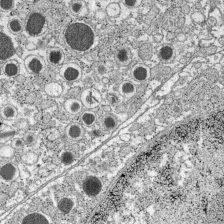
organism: C57BL Mouse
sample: Pancreatic islet